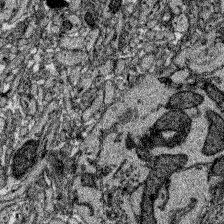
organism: Zebrafish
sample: Larval olfactory bulb